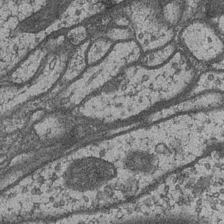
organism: Drosophila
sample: Optic medulla